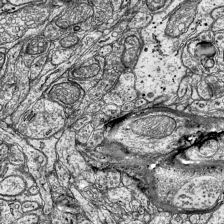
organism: Mouse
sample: Visual Cortex